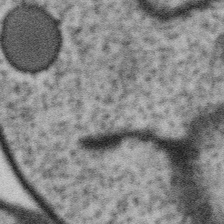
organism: Gemmata obscuriglobus